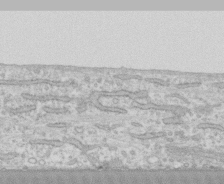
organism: Human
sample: CRL-1474